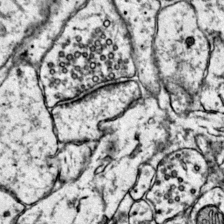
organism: Mouse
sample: Primary visual cortex